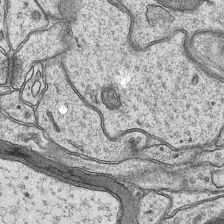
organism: Mouse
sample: CA1 Hippocampus